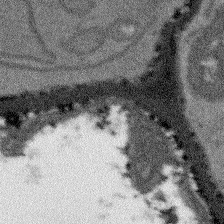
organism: Arabidopsis thaliana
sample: Root tip